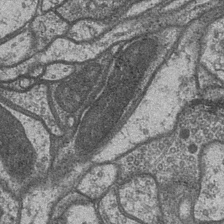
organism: Drosophila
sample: Optic medulla